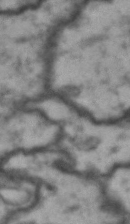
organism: Drosophila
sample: Brain